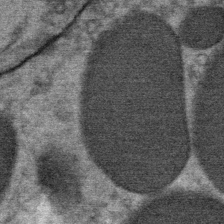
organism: Mouse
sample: Mouse Salivary gland